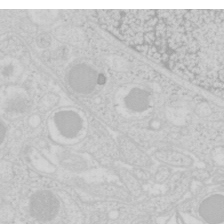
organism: Mouse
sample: Pancreas